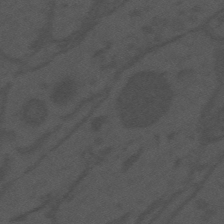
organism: Mouse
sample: Suprachiasmatic nucleus